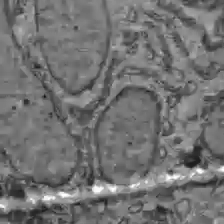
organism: C57BL Mouse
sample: Liver